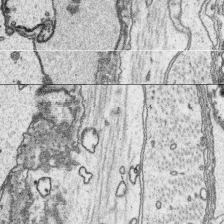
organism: Platynereis dumerilii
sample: Parapodia